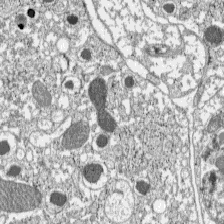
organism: C57BL Mouse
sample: Pancreatic islet